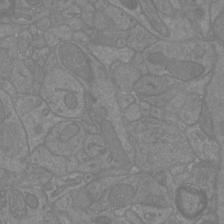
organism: Mouse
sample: Cortical neurons